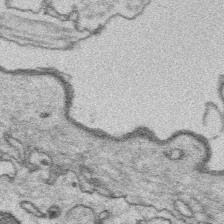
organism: Platynereis dumerilii